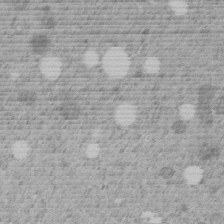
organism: C. elegans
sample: C. elegans embryo early stage